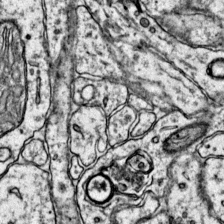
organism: Mouse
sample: Primary visual cortex